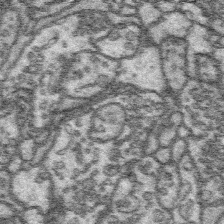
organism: Platynereis dumerilii